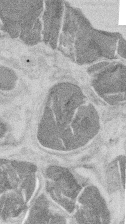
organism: Mouse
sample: T cell stromal cell synapse